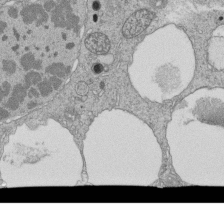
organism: Tetrahymena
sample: Cilia in tetrahymena